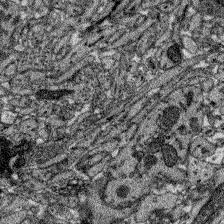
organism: Zebrafish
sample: Larval olfactory bulb